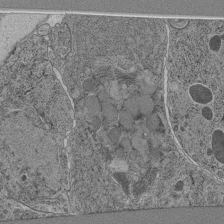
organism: C. elegans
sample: C. elegans pharynx